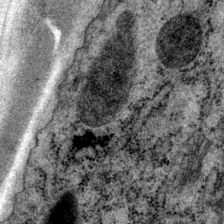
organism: P. pacificus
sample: Pharynx